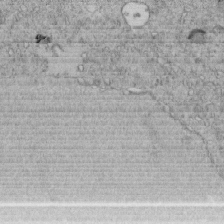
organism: C. elegans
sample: C. elegans embryo early stage